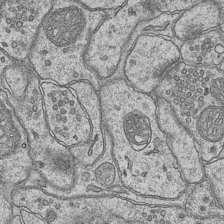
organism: Mouse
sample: CA1 Hippocampus